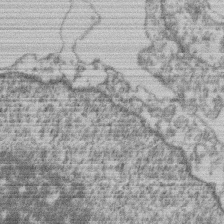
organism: Mouse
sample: T cell stromal cell synapse